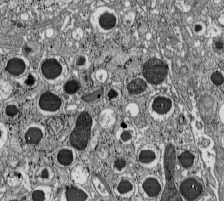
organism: C57BL Mouse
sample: Pancreatic islet